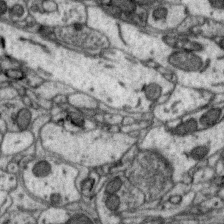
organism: Zebra finch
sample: Brain